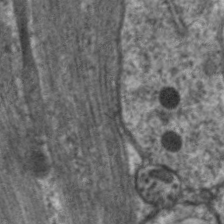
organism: C. elegans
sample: Pharynx